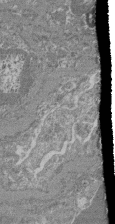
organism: Mouse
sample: Glomerulus